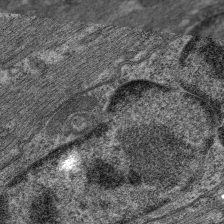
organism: C. elegans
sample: Pharynx